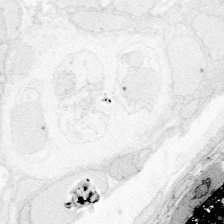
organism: Zebrafish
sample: Whole-Brain